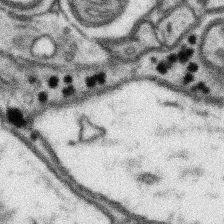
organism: Mouse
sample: Somatosensory cortex neuropil